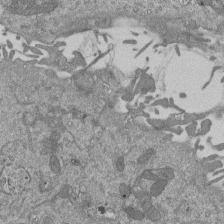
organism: Mouse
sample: ED-1 cell nuclei; centrioles